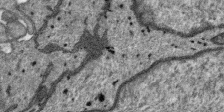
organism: Human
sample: Lung epithelial cells, uninfected (mock) control